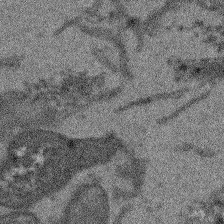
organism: Arabidopsis thaliana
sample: Root tip